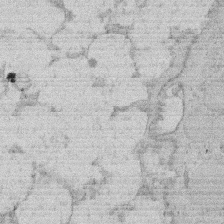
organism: Rat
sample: Salivary granule